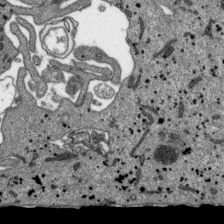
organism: Human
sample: Lung epithelial cells, uninfected (mock) control